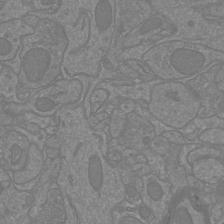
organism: Mouse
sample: Cortical neurons